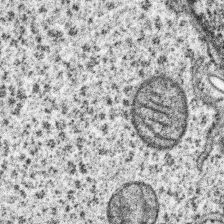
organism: Human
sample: HeLa cells